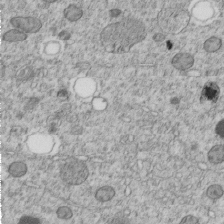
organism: C. elegans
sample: C. elegans embryo early stage